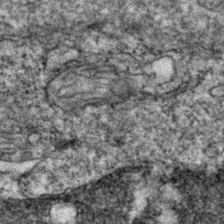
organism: Zebrafish